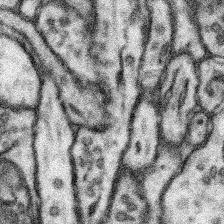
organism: Mouse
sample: Somatosensory cortex neuropil